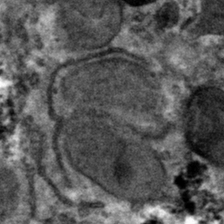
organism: Mouse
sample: Mouse hepatocytes